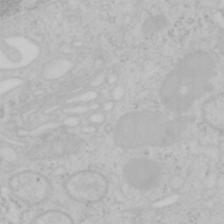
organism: Mouse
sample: OT-I killer T cells with ID8 ovarian cancer cells